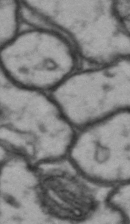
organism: Drosophila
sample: Brain